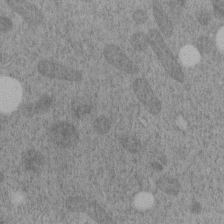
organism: C. elegans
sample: C. elegans embryo early stage